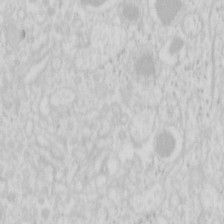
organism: Mouse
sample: Pancreas